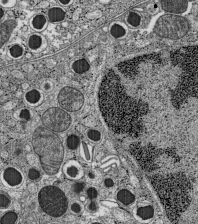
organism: C57BL Mouse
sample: Pancreatic islet